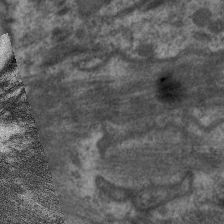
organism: C. elegans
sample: Pharynx